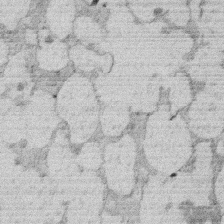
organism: Rat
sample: Salivary granule